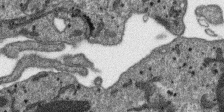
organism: Human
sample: Lung epithelial cells infected with SARS-CoV-2